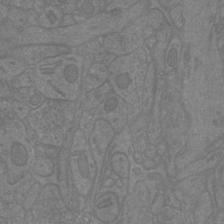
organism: Mouse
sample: Cortical neurons